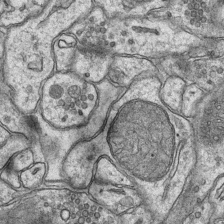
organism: Mouse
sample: CA1 Hippocampus